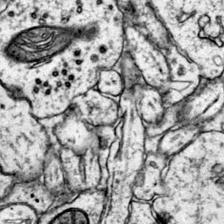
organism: Mouse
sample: Primary visual cortex